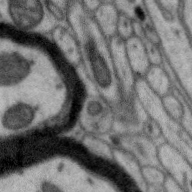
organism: Zebra finch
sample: Brain